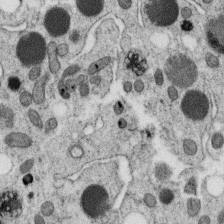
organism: C. elegans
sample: C. elegans oocyte; sperm cells